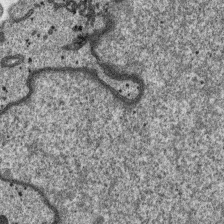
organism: Human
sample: Lung epithelial cells infected with SARS-CoV-2